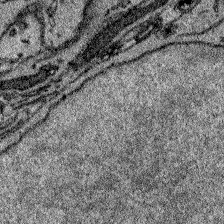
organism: Zebrafish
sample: Larval olfactory bulb